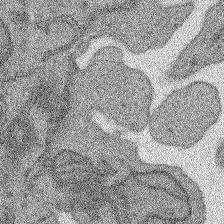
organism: Human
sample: HeLa cells